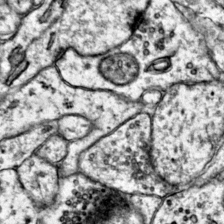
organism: Mouse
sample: Primary visual cortex